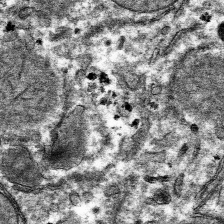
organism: Mouse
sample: Mouse hepatocytes